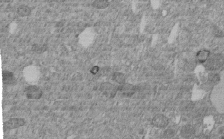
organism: C. elegans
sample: C. elegans embryo early stage